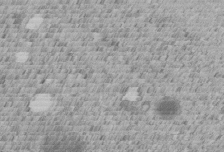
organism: C. elegans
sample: C. elegans embryo early stage